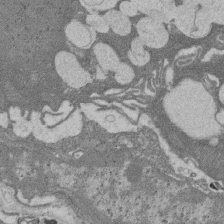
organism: Rat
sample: Salivary granule